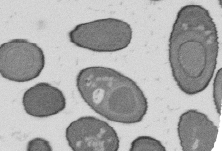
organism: B. subtilis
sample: Bacterial spore